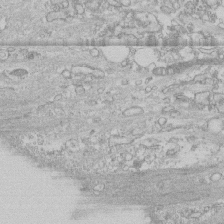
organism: Human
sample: CRL-1474